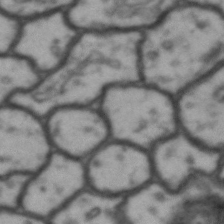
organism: Drosophila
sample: Brain